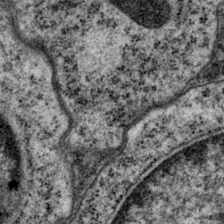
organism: P. pacificus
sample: Pharynx